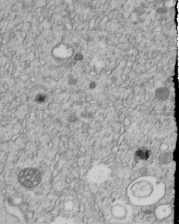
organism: C. elegans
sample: C. elegans embryo early stage